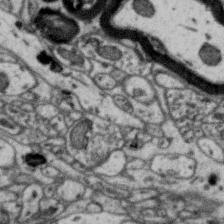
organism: Zebra finch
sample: Brain